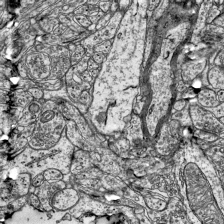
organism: Mouse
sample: Visual Cortex